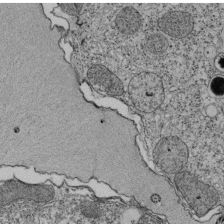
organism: Tetrahymena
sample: Cilia in tetrahymena